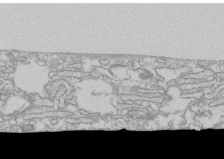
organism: Human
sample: CRL-1474